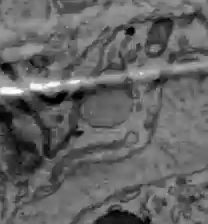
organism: C57BL Mouse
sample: Liver